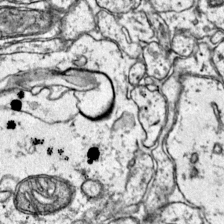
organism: Mouse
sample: Primary visual cortex